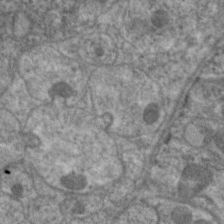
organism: C. elegans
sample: Pharynx